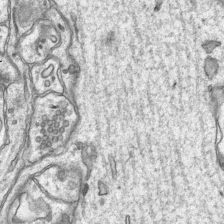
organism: Mouse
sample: CA1 Hippocampus